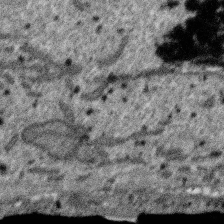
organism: Human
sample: Lung epithelial cells infected with SARS-CoV-2